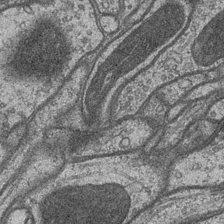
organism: Drosophila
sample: Optic medulla